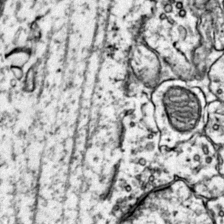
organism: Mouse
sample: Primary visual cortex